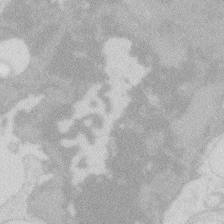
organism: Zebrafish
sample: Macrophage